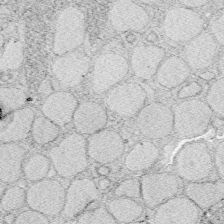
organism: Zebrafish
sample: Whole-Brain